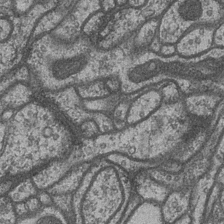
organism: Drosophila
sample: Optic medulla